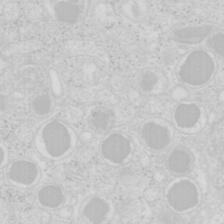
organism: Mouse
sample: Pancreas